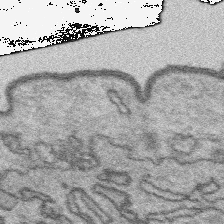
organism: Platynereis dumerilii